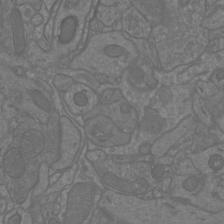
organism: Mouse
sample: Cortical neurons